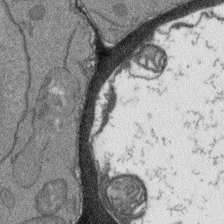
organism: Arabidopsis thaliana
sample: Root tip